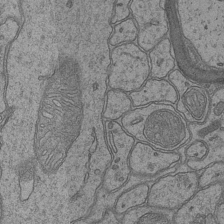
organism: Mouse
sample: CA1 Hippocampus